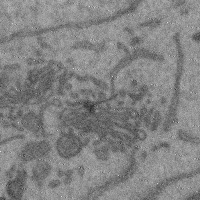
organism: Mouse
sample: Cerebral cortex